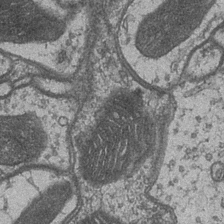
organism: Drosophila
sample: Optic medulla